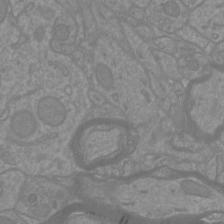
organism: Mouse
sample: Cortical neurons